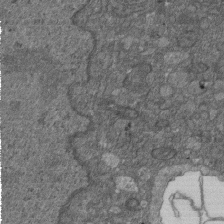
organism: Drosophila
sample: Nephrocyte